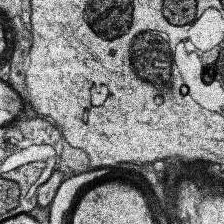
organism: Human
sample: Temporal Lobe